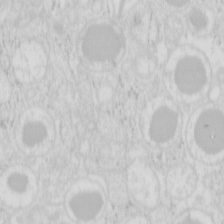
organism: Mouse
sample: Pancreas